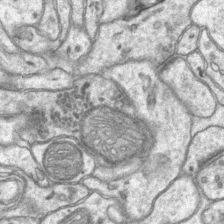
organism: Mouse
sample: CA1 Hippocampus